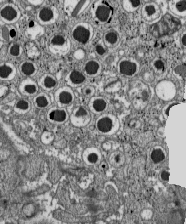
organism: C57BL Mouse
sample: Pancreatic islet